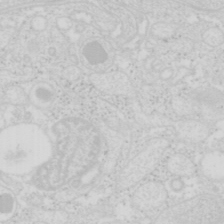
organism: Mouse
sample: Pancreas